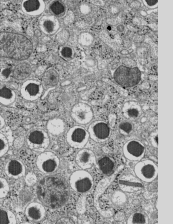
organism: C57BL Mouse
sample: Pancreatic islet